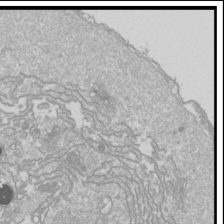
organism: Drosophila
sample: Cell division; meiosis; drosophila spermatocytes